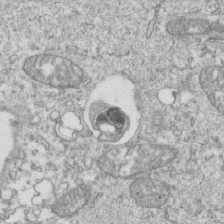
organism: Mouse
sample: Activated OT-1 CD8+ T cells